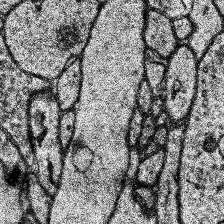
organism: Human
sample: Temporal Lobe